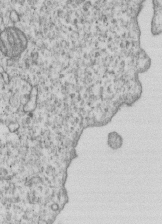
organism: Human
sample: MDA-MB-231 cells